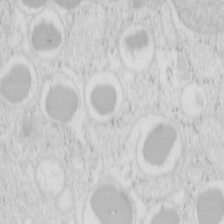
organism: Mouse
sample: Pancreas